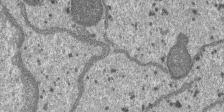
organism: Human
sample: Lung epithelial cells infected with SARS-CoV-2